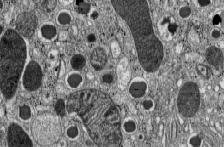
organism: C57BL Mouse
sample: Pancreatic islet